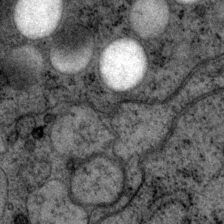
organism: P. pacificus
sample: Pharynx